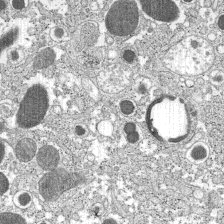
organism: C57BL Mouse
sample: Pancreatic islet